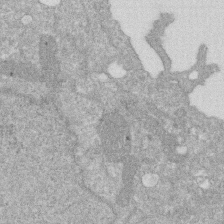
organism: Human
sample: HIV infected U937 cells